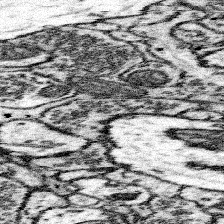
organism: Mouse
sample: Somatosensory cortex neuropil